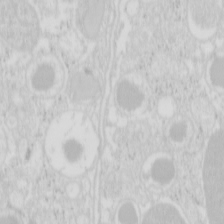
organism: Mouse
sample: Pancreas